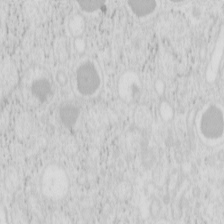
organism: Mouse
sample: Pancreas